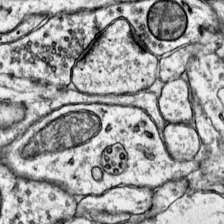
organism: Mouse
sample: Primary visual cortex